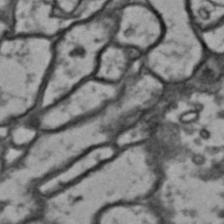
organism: Drosophila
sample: Brain